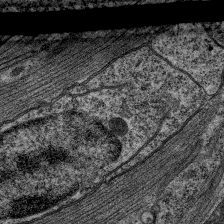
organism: C. elegans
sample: Pharynx